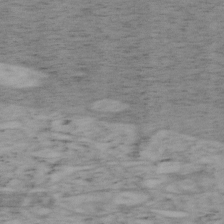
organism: Mouse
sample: OT-I killer T cells with ID8 ovarian cancer cells